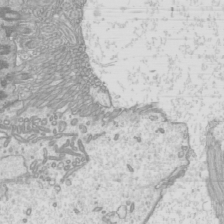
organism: Mouse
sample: Cilia; mouse epididymis